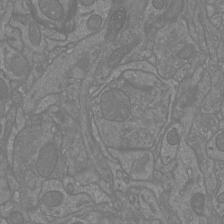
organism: Mouse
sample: Cortical neurons